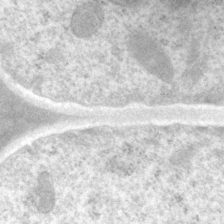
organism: P. pacificus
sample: Pharynx